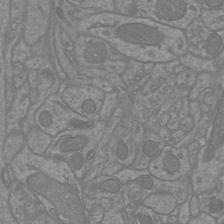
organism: Mouse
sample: Cortical neurons